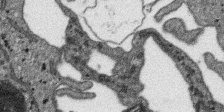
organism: Human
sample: Lung epithelial cells infected with SARS-CoV-2